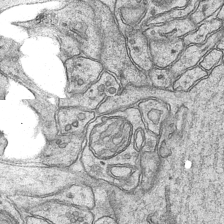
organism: Mouse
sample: CA1 Hippocampus